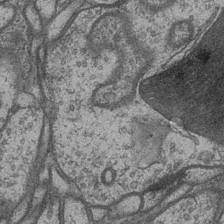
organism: Drosophila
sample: Optic medulla